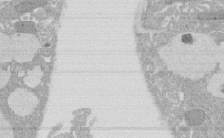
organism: Rat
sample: Salivary granule